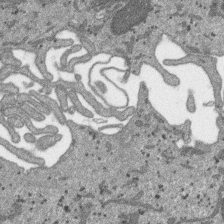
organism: Human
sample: Lung epithelial cells infected with SARS-CoV-2